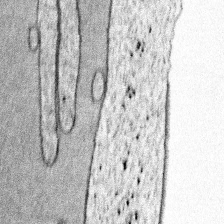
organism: Human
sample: HeLa cells